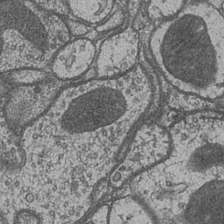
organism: Drosophila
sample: Optic medulla